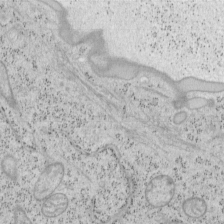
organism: Mouse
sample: OT-I killer T cells with ID8 ovarian cancer cells